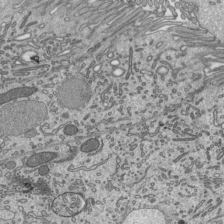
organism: Mouse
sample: Mouse epididymis efferent ductule cilia